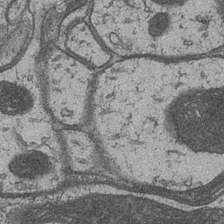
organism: Drosophila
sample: Optic medulla